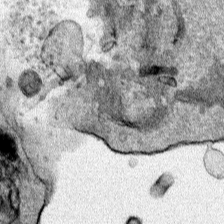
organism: Human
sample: Mitochondria in HCT116 cells